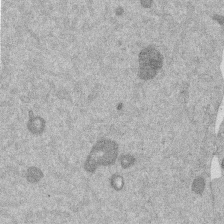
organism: Mouse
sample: Dividing mouse embryo 1 cell stage